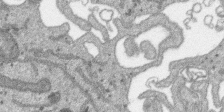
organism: Human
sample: Lung epithelial cells infected with SARS-CoV-2